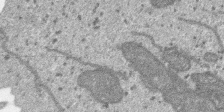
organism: Human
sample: Lung epithelial cells infected with SARS-CoV-2